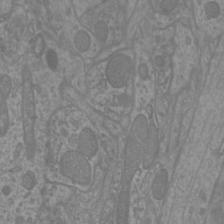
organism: Mouse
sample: Cortical neurons